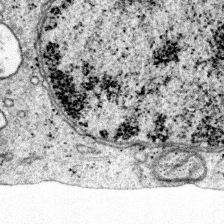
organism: Human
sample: HeLa cells